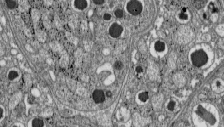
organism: C57BL Mouse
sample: Pancreatic islet